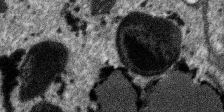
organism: Human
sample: Lung epithelial cells infected with SARS-CoV-2